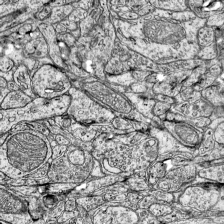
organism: Mouse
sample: Visual Cortex